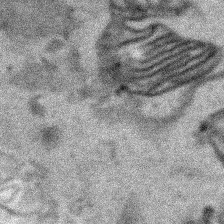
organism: Human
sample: Mitochondria in HCT116 cells